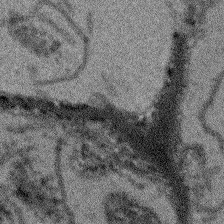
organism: Arabidopsis thaliana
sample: Root tip